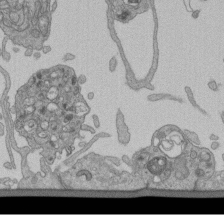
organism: Human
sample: Retinal organoid Rod and Cone cells